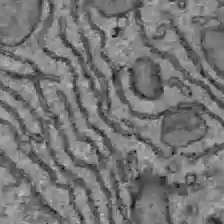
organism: C57BL Mouse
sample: Liver